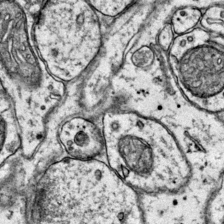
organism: Mouse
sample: Primary visual cortex